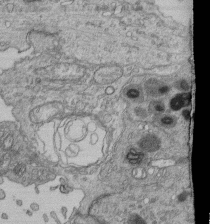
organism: Human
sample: Retinal organoid Rod and Cone cells